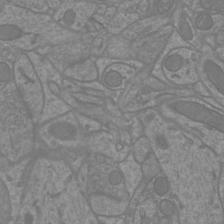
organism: Mouse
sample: Cortical neurons